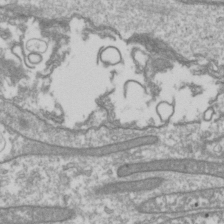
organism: Drosophila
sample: Cell division; meiosis; drosophila spermatocytes